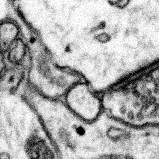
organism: Mouse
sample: Somatosensory cortex neuropil